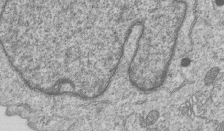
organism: Human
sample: MDA-MB-231 cells